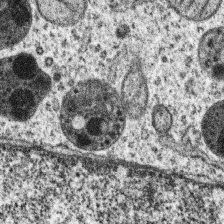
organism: Human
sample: HeLa cells